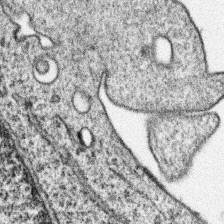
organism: Human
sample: HeLa cells